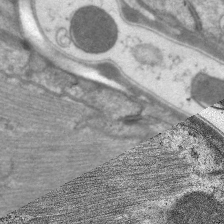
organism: C. elegans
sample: Pharynx